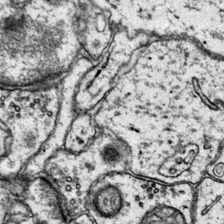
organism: Mouse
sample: Primary visual cortex